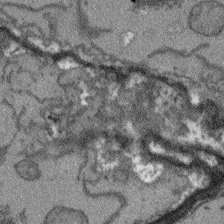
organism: Arabidopsis thaliana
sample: Root tip